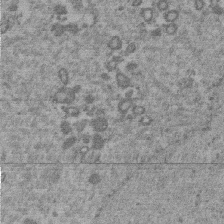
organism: Mouse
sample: Dividing mouse embryo 1 cell stage